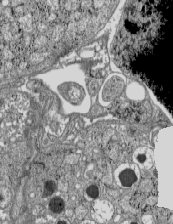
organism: C57BL Mouse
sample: Pancreatic islet